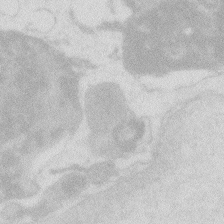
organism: Zebrafish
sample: Macrophage